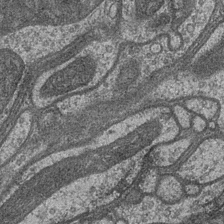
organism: Drosophila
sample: Optic medulla